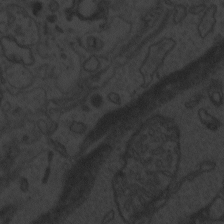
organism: Zebrafish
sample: Macrophage infected with Toxoplasma gondii